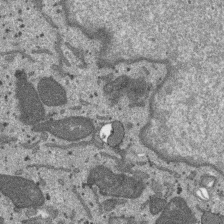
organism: Human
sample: Lung epithelial cells infected with SARS-CoV-2